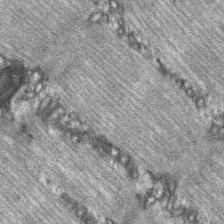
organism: C57BL Mouse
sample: Soleus